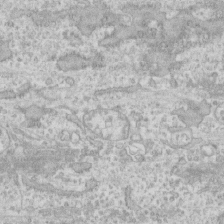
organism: Human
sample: CRL-1474